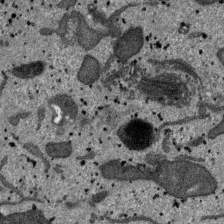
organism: Human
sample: Lung epithelial cells, uninfected (mock) control